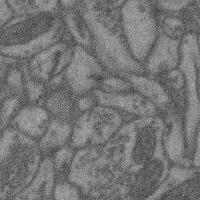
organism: Mouse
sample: Cerebral cortex